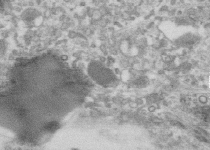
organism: Human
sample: Centriole in RPE cells